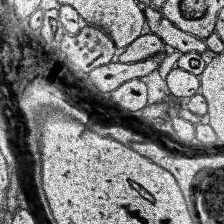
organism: Human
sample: Temporal Lobe